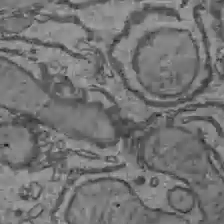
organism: C57BL Mouse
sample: Liver